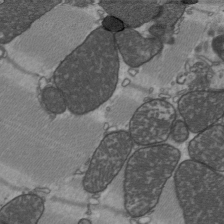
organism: C57BL Mouse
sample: Heart